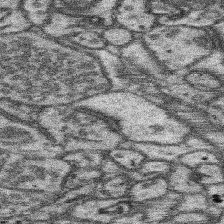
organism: Mouse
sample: Somatosensory cortex neuropil